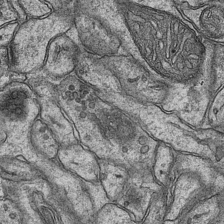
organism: Mouse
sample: CA1 Hippocampus